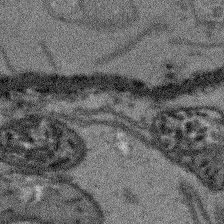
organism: Arabidopsis thaliana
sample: Root tip